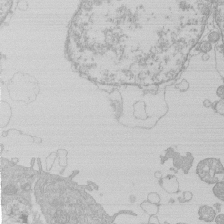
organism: Human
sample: Macrophage cells